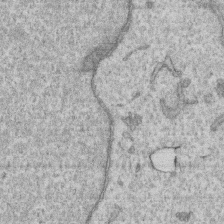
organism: Human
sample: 1205lu cells